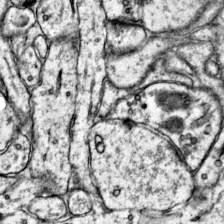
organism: Mouse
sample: Primary visual cortex